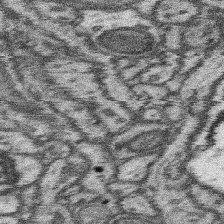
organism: Mouse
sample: Somatosensory cortex neuropil